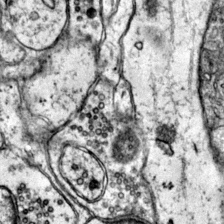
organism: Mouse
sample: Primary visual cortex